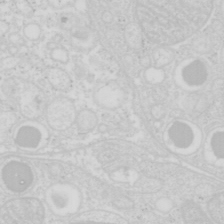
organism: Mouse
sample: Pancreas